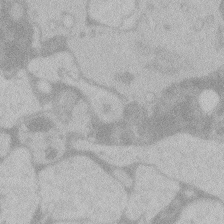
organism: Zebrafish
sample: Macrophage infected with Toxoplasma gondii